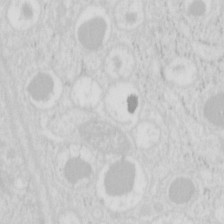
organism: Mouse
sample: Pancreas